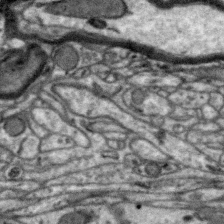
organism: Zebra finch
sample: Brain